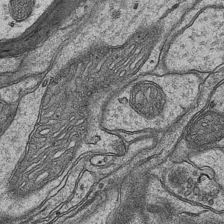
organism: Mouse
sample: CA1 Hippocampus